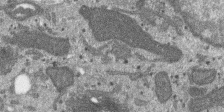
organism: Human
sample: Lung epithelial cells infected with SARS-CoV-2